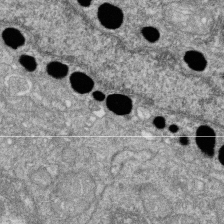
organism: Zebrafish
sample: Cilia; retinal pigment epithelium